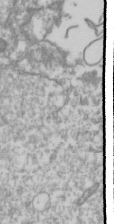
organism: Drosophila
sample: Cell division; meiosis; drosophila spermatocytes